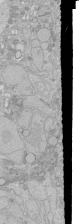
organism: Human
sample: Caco-2 cells